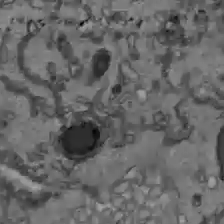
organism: C57BL Mouse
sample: Liver